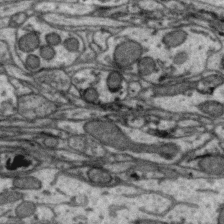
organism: Zebra finch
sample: Brain